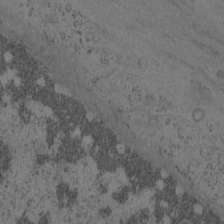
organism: Mouse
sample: OT-I killer T cells with ID8 ovarian cancer cells